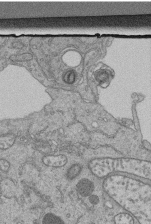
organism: Human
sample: Retinal organoid Rod and Cone cells